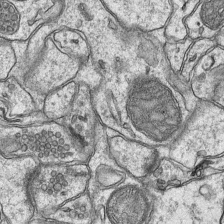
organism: Mouse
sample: CA1 Hippocampus